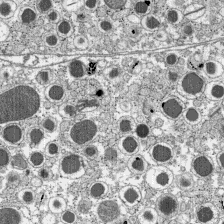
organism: C57BL Mouse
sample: Pancreatic islet